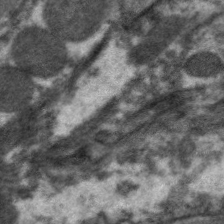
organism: C. elegans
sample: Pharynx